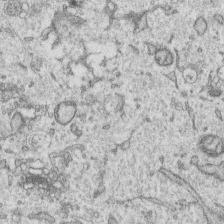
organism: Human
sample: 1205lu cells